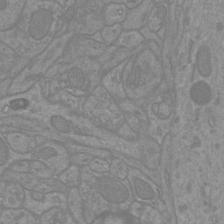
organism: Mouse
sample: Cortical neurons